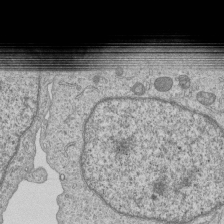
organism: Human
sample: MDA-MB-231 cells